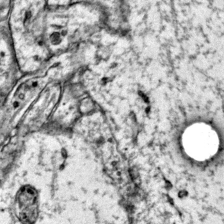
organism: Mouse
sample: Primary visual cortex